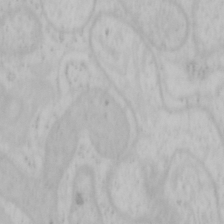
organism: Mouse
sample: OT-I killer T cells with ID8 ovarian cancer cells